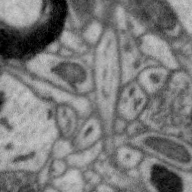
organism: Zebra finch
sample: Brain